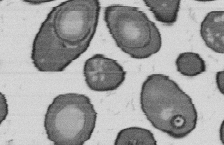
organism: B. subtilis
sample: Bacterial spore